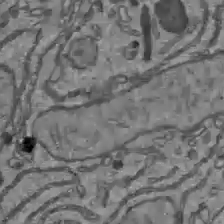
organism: C57BL Mouse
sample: Liver